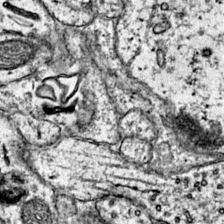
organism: Mouse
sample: Primary visual cortex